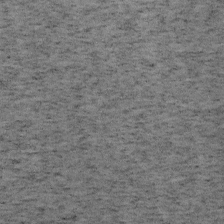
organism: Mouse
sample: OT-I killer T cells with ID8 ovarian cancer cells